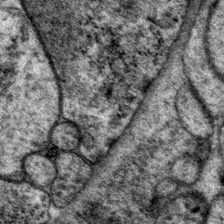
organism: P. pacificus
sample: Pharynx